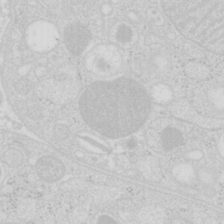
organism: Mouse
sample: Pancreas